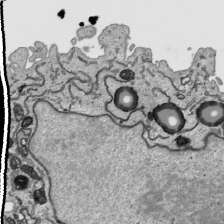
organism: Human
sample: Mitochondria in HCT116 cells